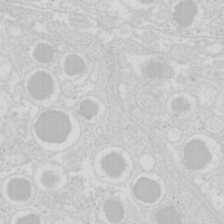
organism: Mouse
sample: Pancreas